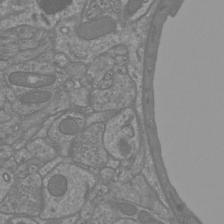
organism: Mouse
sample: Cortical neurons